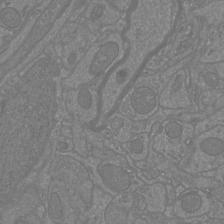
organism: Mouse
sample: Cortical neurons